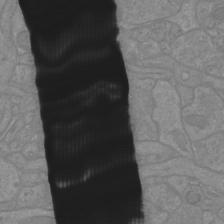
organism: Mouse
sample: Cortical neurons